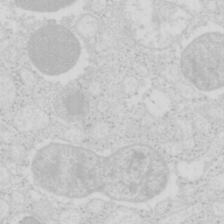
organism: Mouse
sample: Pancreas